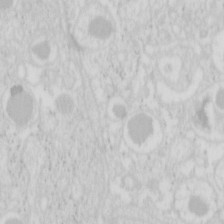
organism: Mouse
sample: Pancreas